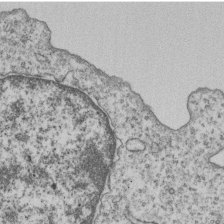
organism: Human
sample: MDA-MB-231 cells